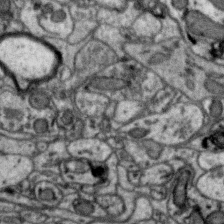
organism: Zebra finch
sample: Brain